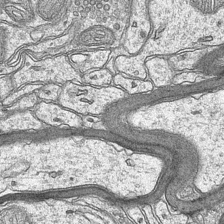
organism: Mouse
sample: CA1 Hippocampus